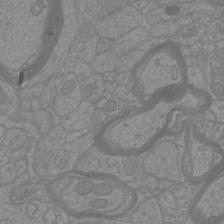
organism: Mouse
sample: Cortical neurons